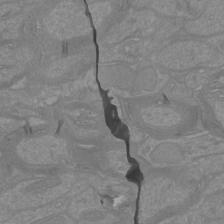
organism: Mouse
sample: Cortical neurons